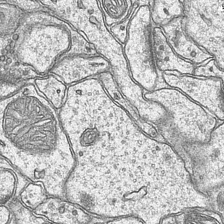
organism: Mouse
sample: CA1 Hippocampus